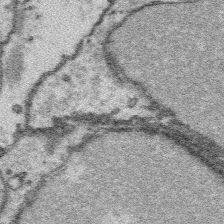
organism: Platynereis dumerilii